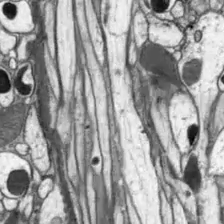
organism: Drosophila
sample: Optic lobe